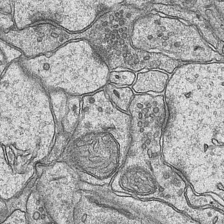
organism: Mouse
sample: CA1 Hippocampus